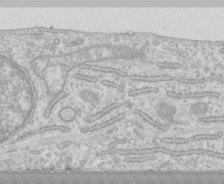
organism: Human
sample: CRL-1474